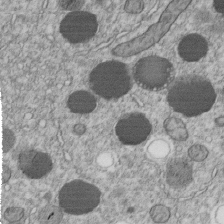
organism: C. elegans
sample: C. elegans embryo early stage